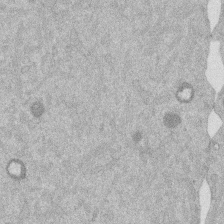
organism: Mouse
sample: Dividing mouse embryo 1 cell stage